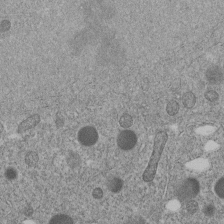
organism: C. elegans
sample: C. elegans embryo early stage